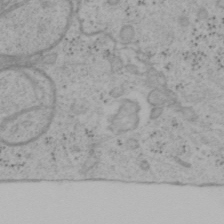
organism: Human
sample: HeLa cells